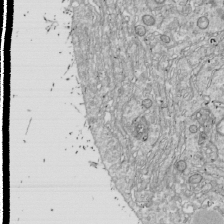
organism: Drosophila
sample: Cell division; meiosis; drosophila spermatocytes